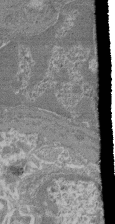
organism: Mouse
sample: Glomerulus